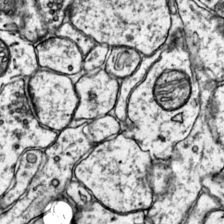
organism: Mouse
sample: Primary visual cortex